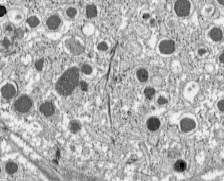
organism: C57BL Mouse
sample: Pancreatic islet